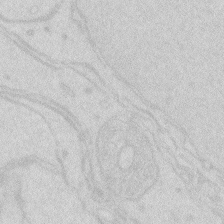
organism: Zebrafish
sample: Macrophage